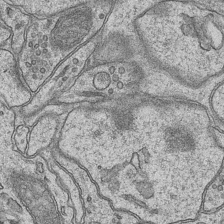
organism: Mouse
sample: CA1 Hippocampus